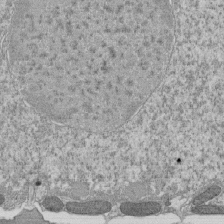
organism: Tetrahymena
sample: Cilia in tetrahymena